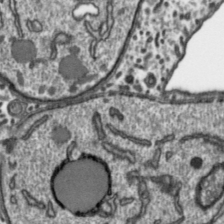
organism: Toxoplasma gondii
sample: Parasites in a vacuole inside a host cell